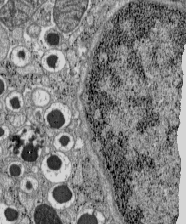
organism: C57BL Mouse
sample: Pancreatic islet